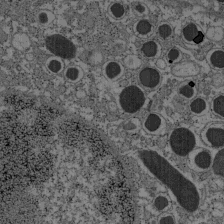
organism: C57BL Mouse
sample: Pancreatic islet